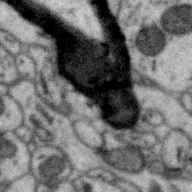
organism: Zebra finch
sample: Brain